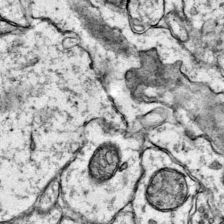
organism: Mouse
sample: Primary visual cortex